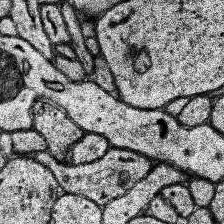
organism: Human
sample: Temporal Lobe